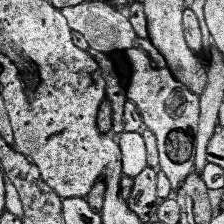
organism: Human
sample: Temporal Lobe